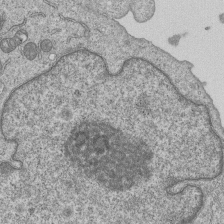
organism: Human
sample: MDA-MB-231 cells